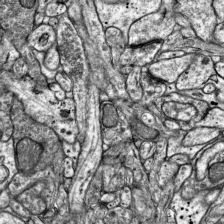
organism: Mouse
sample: Visual Cortex